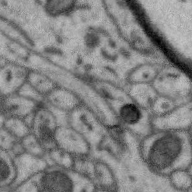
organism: Zebra finch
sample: Brain